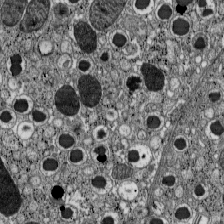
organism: C57BL Mouse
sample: Pancreatic islet